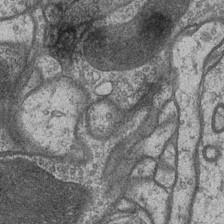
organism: Drosophila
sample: Optic medulla